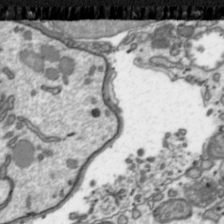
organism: Toxoplasma gondii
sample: Parasites in a vacuole inside a host cell